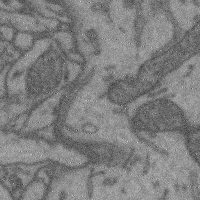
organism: Mouse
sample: Cerebral cortex